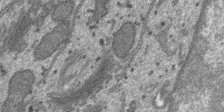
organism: Human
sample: Lung epithelial cells infected with SARS-CoV-2